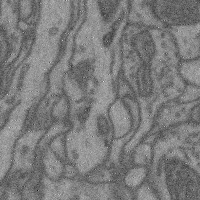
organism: Mouse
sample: Cerebral cortex